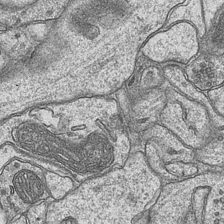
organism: Mouse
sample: CA1 Hippocampus